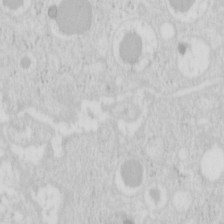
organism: Mouse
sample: Pancreas